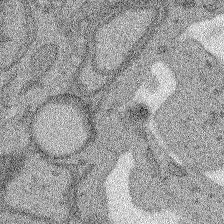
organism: Human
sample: HeLa cells